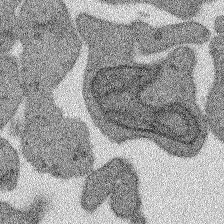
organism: Human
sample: HeLa cells